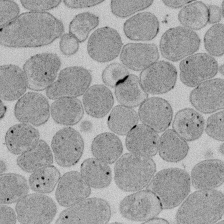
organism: E. coli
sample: Bacterial nucleoid